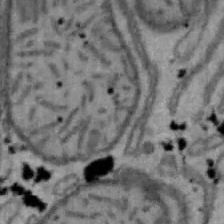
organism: Mouse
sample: Liver